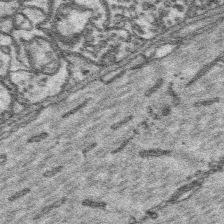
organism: Platynereis dumerilii